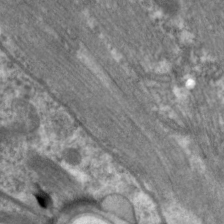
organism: C. elegans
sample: Pharynx